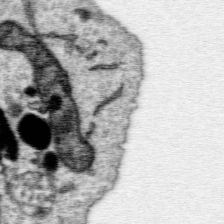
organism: Human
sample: HeLa cells